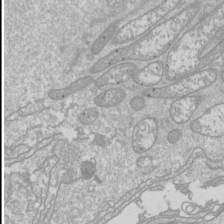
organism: Drosophila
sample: Cell division; meiosis; drosophila spermatocytes